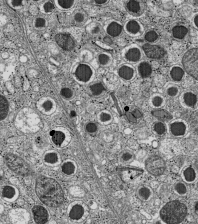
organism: C57BL Mouse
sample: Pancreatic islet